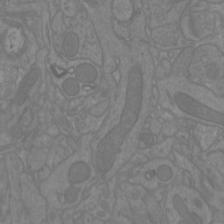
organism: Mouse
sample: Cortical neurons